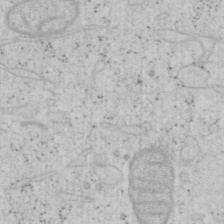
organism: Human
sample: HeLa cells